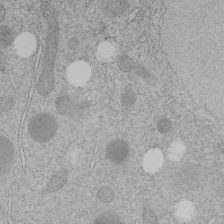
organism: C. elegans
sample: C. elegans embryo early stage